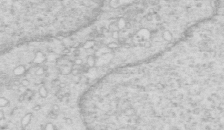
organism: Mouse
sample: Multiciliated cells